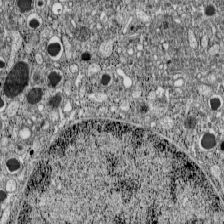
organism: C57BL Mouse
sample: Pancreatic islet